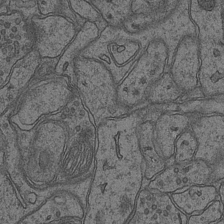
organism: Mouse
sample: CA1 Hippocampus